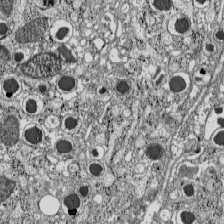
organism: C57BL Mouse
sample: Pancreatic islet